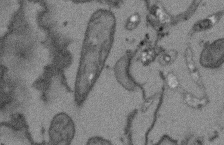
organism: Arabidopsis thaliana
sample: Root tip